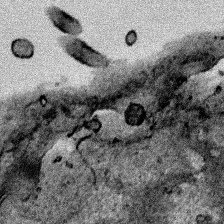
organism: Human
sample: Mitochondria in HCT116 cells